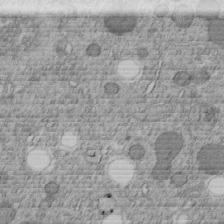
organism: C. elegans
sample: C. elegans embryo early stage